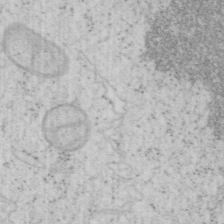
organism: Human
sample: HeLa cells